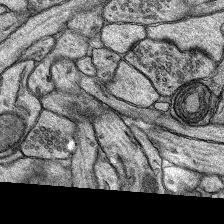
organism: Rat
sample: Hippocampus